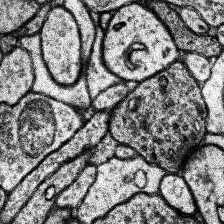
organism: Human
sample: Temporal Lobe